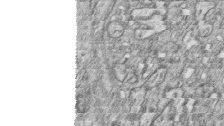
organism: Zebrafish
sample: synaptic ribbons in rod cells and cone cells